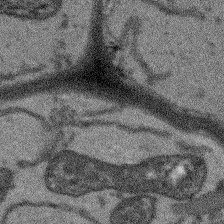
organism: Arabidopsis thaliana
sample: Root tip